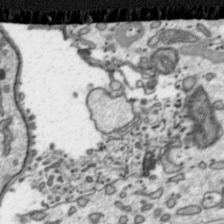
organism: Toxoplasma gondii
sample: Parasites in a vacuole inside a host cell